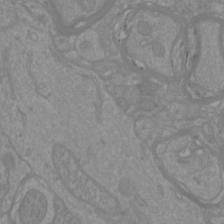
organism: Mouse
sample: Cortical neurons